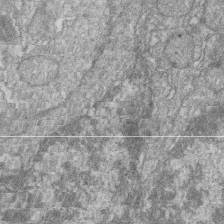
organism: Zebrafish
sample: Cilia; retinal pigment epithelium